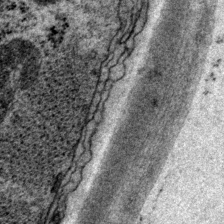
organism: P. pacificus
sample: Pharynx